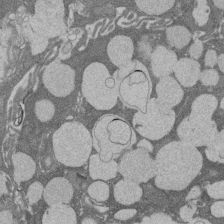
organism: Rat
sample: Salivary granule